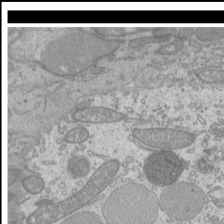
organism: Mouse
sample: Cilia; mouse epididymis